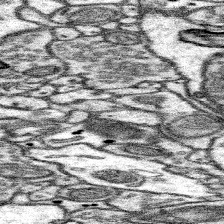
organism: Mouse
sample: Somatosensory cortex neuropil